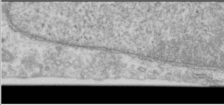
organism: Human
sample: Cilia; basal body in RPE cells